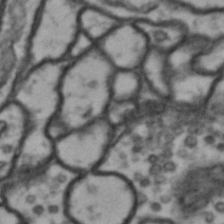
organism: Drosophila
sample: Brain